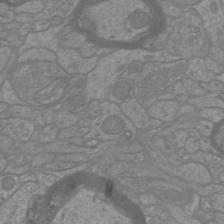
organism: Mouse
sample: Cortical neurons